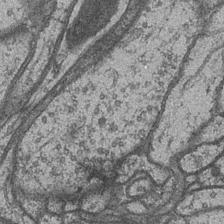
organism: Drosophila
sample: Optic medulla